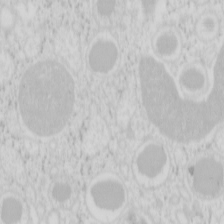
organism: Mouse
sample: Pancreas